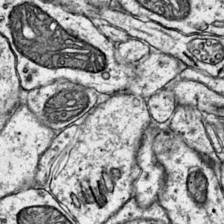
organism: Mouse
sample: Primary visual cortex